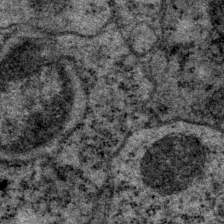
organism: P. pacificus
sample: Pharynx